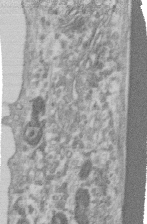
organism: Human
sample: Centriole in RPE cells